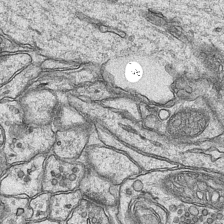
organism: Mouse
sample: CA1 Hippocampus